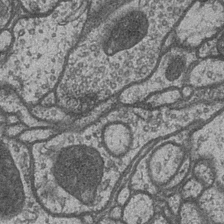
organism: Drosophila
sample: Optic medulla